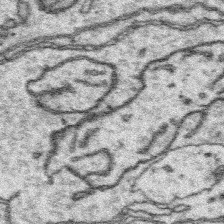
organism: Platynereis dumerilii